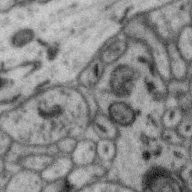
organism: Zebra finch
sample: Brain